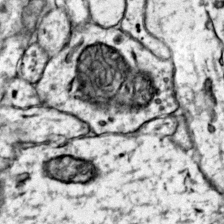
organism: Mouse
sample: Primary visual cortex